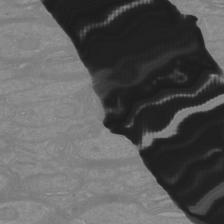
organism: Mouse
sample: Cortical neurons